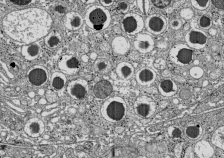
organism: C57BL Mouse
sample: Pancreatic islet